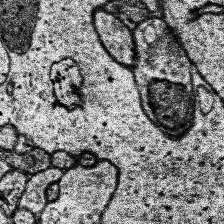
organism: Human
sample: Temporal Lobe